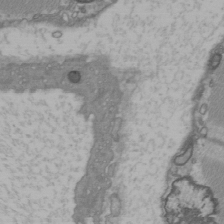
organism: C57BL Mouse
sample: Heart